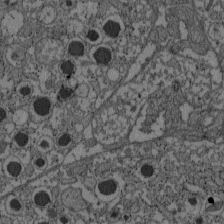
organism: C57BL Mouse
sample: Pancreatic islet